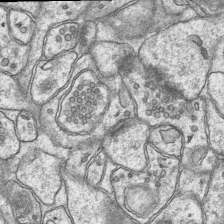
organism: Mouse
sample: CA1 Hippocampus